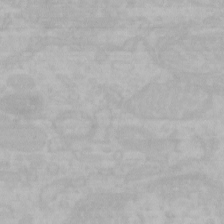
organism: Mouse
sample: Choroid plexus